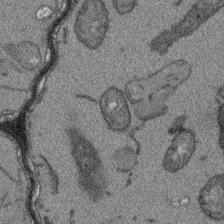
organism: Arabidopsis thaliana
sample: Root tip